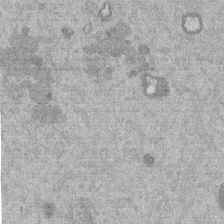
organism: Mouse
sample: Dividing mouse embryo 1 cell stage